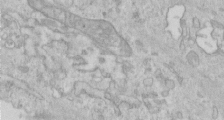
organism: Human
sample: Centriole in RPE cells